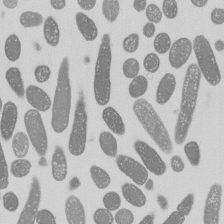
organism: E. coli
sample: Bacterial nucleoid